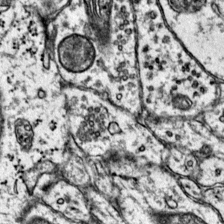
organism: Mouse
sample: Primary visual cortex